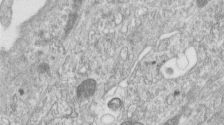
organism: Human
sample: Centriole in RPE cells